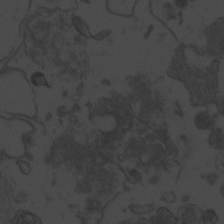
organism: Zebrafish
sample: Macrophage infected with Toxoplasma gondii